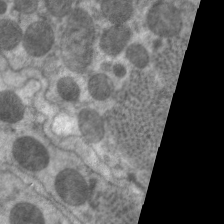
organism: C. elegans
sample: Pharynx